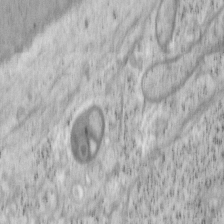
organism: Human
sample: HeLa cells